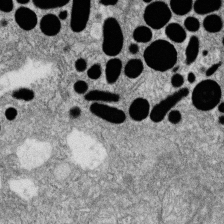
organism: Zebrafish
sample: Cilia; retinal pigment epithelium